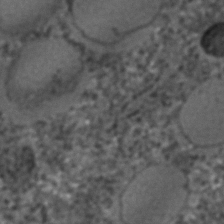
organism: C. elegans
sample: C. elegans embryo